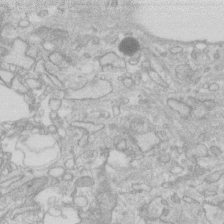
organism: Human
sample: Fibroblast cells